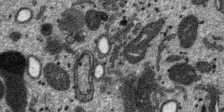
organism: Human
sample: Lung epithelial cells infected with SARS-CoV-2